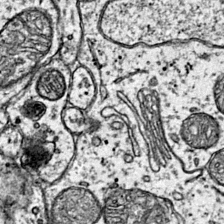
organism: Mouse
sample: Primary visual cortex